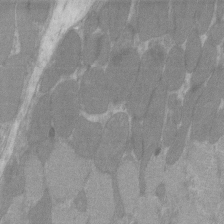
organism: C57BL Mouse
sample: Tibialis anterior muscle cell